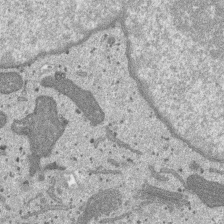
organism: Human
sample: Lung epithelial cells infected with SARS-CoV-2